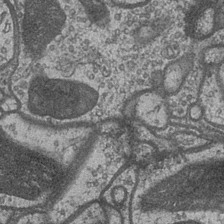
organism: Drosophila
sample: Optic medulla